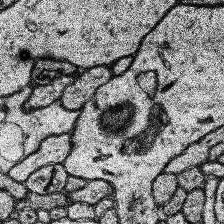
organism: Human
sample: Temporal Lobe